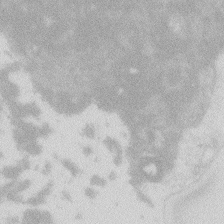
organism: Zebrafish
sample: Macrophage